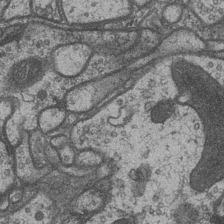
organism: Drosophila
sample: Optic medulla